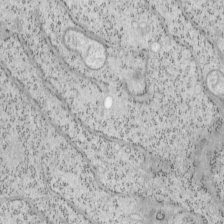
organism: Mouse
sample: OT-I killer T cells with ID8 ovarian cancer cells